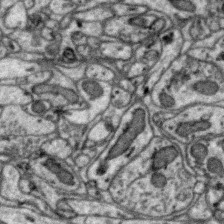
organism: Zebra finch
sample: Brain